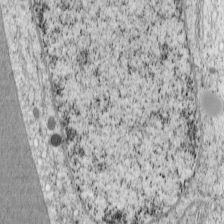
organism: African green monkey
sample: COS-7 cells